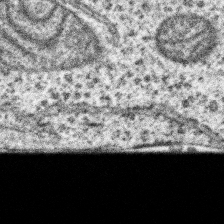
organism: Human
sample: HeLa cells